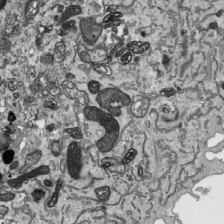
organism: Human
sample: Mitochondria in HCT116 cells